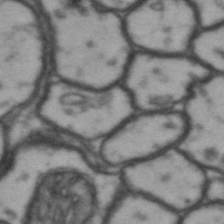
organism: Drosophila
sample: Brain